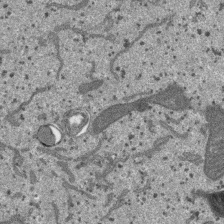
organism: Human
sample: Lung epithelial cells infected with SARS-CoV-2